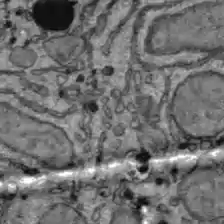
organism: C57BL Mouse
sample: Liver